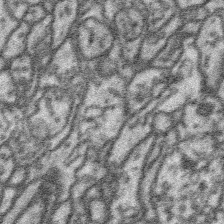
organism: Platynereis dumerilii